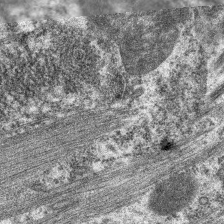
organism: C. elegans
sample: Pharynx